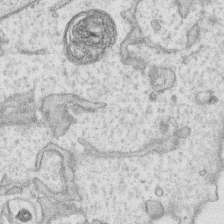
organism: Human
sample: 1205lu cells